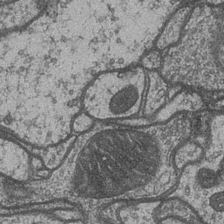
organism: Drosophila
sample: Optic medulla